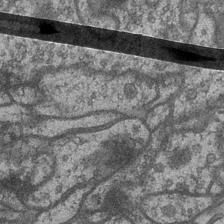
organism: Drosophila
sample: Optic medulla